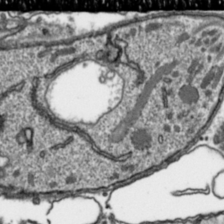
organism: Toxoplasma gondii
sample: Parasites in a vacuole inside a host cell